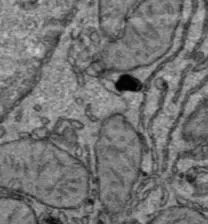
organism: C57BL Mouse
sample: Liver